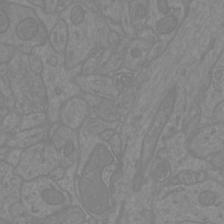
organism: Mouse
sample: Cortical neurons